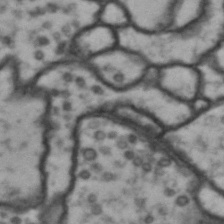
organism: Drosophila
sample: Brain